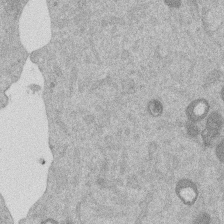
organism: Mouse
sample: Dividing mouse embryo 1 cell stage